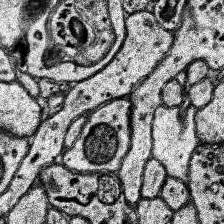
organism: Human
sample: Temporal Lobe